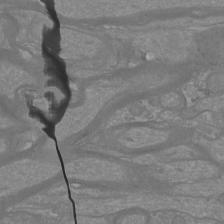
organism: Mouse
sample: Cortical neurons